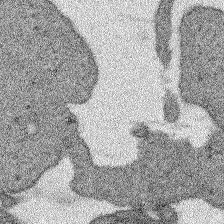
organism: Human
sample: HeLa cells